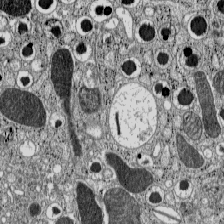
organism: C57BL Mouse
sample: Pancreatic islet